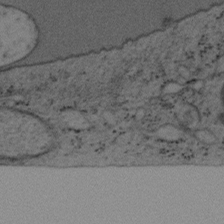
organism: Human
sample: HeLa cells